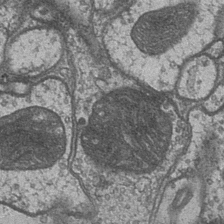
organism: Drosophila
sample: Optic medulla